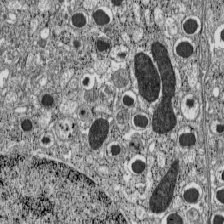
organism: C57BL Mouse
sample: Pancreatic islet